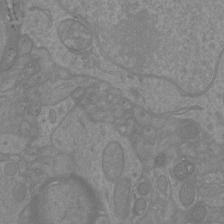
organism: Mouse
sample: Cortical neurons